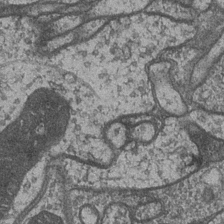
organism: Drosophila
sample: Optic medulla